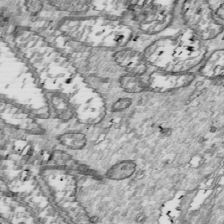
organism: Drosophila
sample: Cell division; meiosis; drosophila spermatocytes